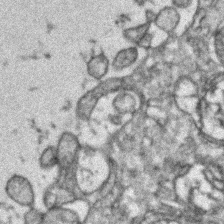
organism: Zebrafish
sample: Zebrafish embryo